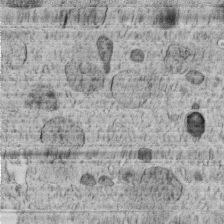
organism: C. elegans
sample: C. elegans embryo early stage